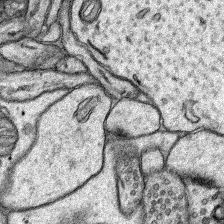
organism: Rat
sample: Hippocampus